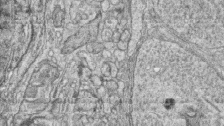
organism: Zebrafish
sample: synaptic ribbons in rod cells and cone cells